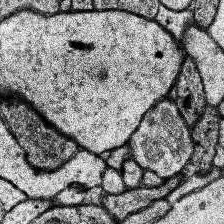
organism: Human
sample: Temporal Lobe